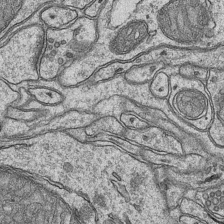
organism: Mouse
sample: CA1 Hippocampus